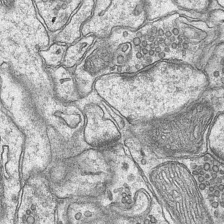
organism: Mouse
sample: CA1 Hippocampus